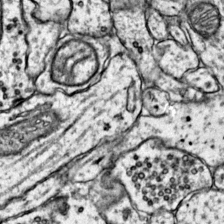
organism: Mouse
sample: Primary visual cortex